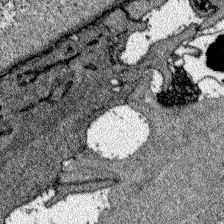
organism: Zebrafish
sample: Larval olfactory bulb